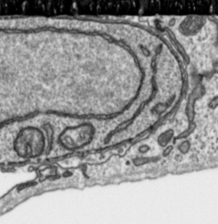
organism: Toxoplasma gondii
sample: Parasites in a vacuole inside a host cell